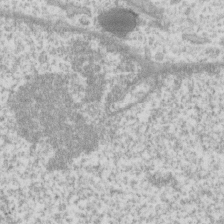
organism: Human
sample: Fibroblast cells